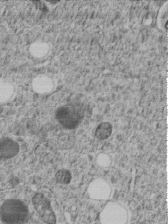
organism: C. elegans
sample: C. elegans embryo early stage